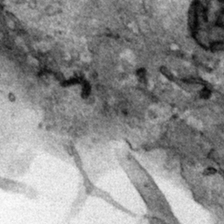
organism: Human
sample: Mitochondria in HCT116 cells